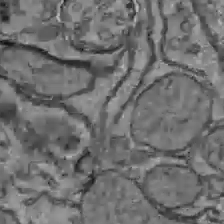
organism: C57BL Mouse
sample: Liver